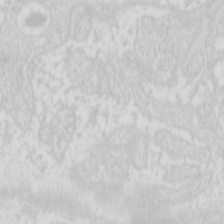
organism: Mouse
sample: Pancreas